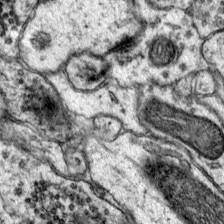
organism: Mouse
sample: Primary visual cortex